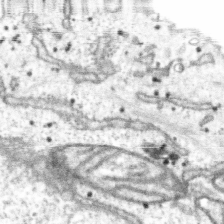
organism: Human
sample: HeLa cells